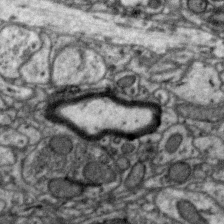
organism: Zebra finch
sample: Brain